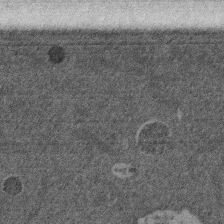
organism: Mouse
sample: Dividing mouse embryo 1 cell stage